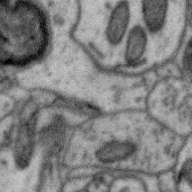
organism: Zebra finch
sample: Brain